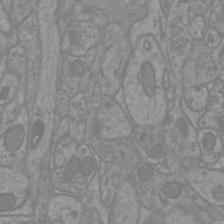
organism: Mouse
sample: Cortical neurons